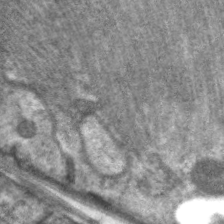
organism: C. elegans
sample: Pharynx